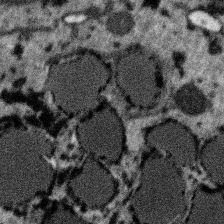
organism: Human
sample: Lung epithelial cells infected with SARS-CoV-2